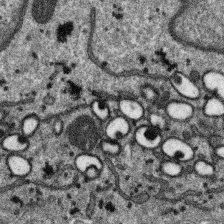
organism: Human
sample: Lung epithelial cells infected with SARS-CoV-2